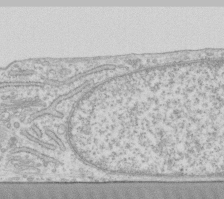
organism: Human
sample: Fibroblast cells